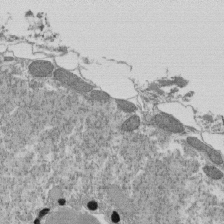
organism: Tetrahymena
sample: Cilia in tetrahymena